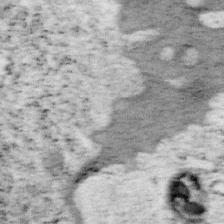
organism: Mouse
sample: OT-I killer T cells with ID8 ovarian cancer cells